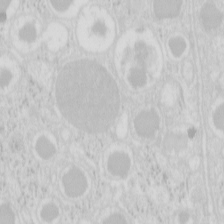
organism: Mouse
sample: Pancreas